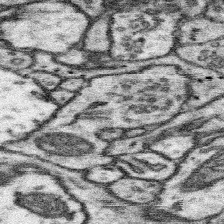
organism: Mouse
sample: Somatosensory cortex neuropil